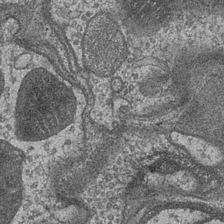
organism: Drosophila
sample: Optic medulla